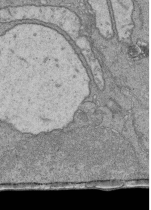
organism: Human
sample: Retinal organoid Rod and Cone cells